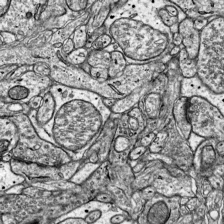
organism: Mouse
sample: Visual Cortex